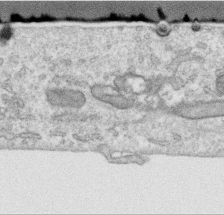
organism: Human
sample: Centriole in RPE cells